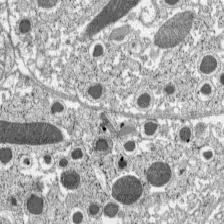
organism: C57BL Mouse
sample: Pancreatic islet